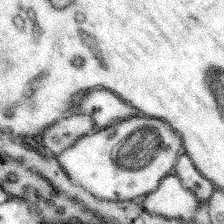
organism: Mouse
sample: Somatosensory cortex neuropil